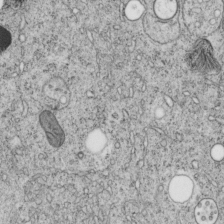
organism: C. elegans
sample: C. elegans embryo early stage